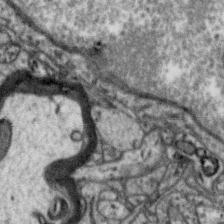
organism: Zebra finch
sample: Brain